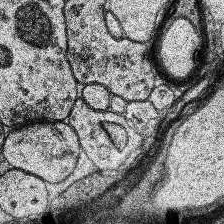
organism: Human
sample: Temporal Lobe